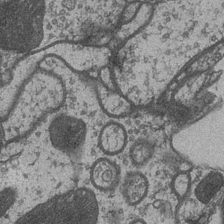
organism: Drosophila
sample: Optic medulla